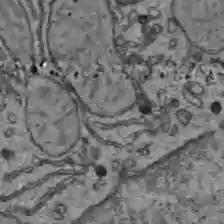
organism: C57BL Mouse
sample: Liver